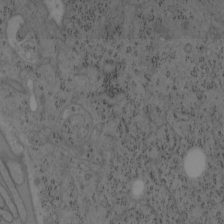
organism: Mouse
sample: OT-I killer T cells with ID8 ovarian cancer cells